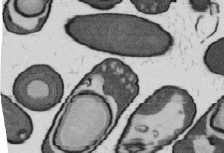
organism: B. subtilis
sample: Bacterial spore